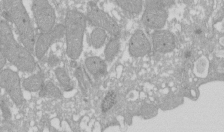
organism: Xenopus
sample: Cilia; centrioles in frog embryo cells